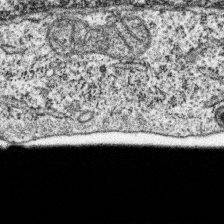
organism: Human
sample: HeLa cells